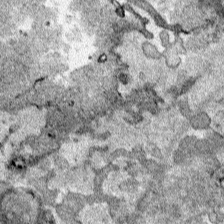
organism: Human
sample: Mitochondria in HCT116 cells